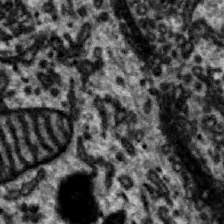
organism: Human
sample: HeLa cells